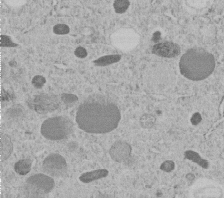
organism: C. elegans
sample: C. elegans embryo early stage